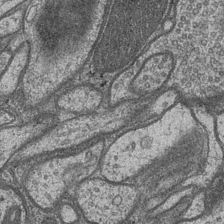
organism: Drosophila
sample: Optic medulla